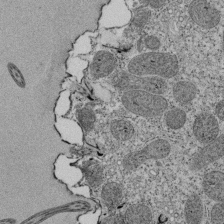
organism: Tetrahymena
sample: Cilia in tetrahymena